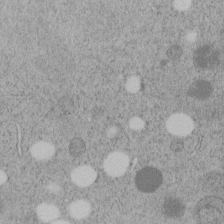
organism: C. elegans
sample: C. elegans embryo early stage